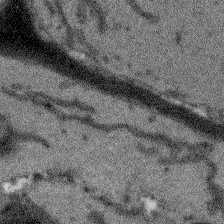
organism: Arabidopsis thaliana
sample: Root tip